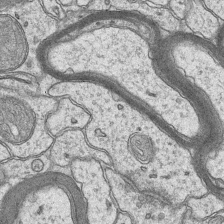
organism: Mouse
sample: CA1 Hippocampus